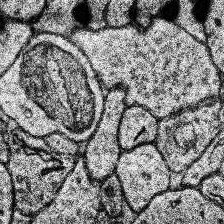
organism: Human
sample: Temporal Lobe